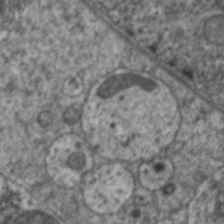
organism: C. elegans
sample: Pharynx